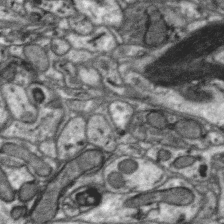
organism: Zebra finch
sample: Brain